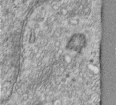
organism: Human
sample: Centriole in RPE cells